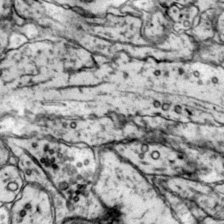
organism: Mouse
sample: Primary visual cortex